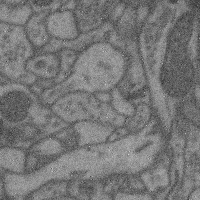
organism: Mouse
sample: Cerebral cortex